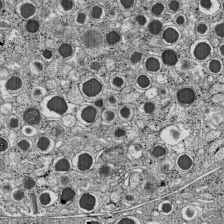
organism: C57BL Mouse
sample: Pancreatic islet